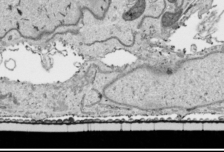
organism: Human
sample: Mitochondria in HCT116 cells